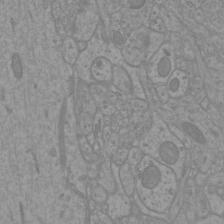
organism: Mouse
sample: Cortical neurons